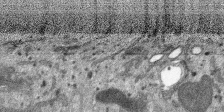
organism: Human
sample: Lung epithelial cells infected with SARS-CoV-2